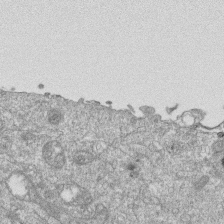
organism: Human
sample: HeLa cell HIV synapse